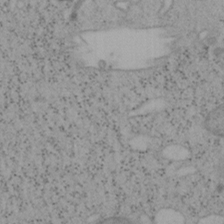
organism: Mouse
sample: OT-I killer T cells with ID8 ovarian cancer cells